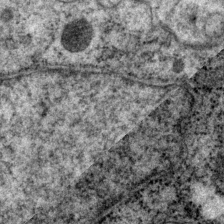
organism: P. pacificus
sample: Pharynx